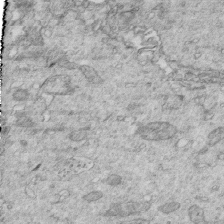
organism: Mouse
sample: Multiciliated cells